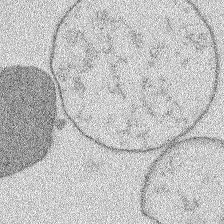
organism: Human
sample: HeLa cells